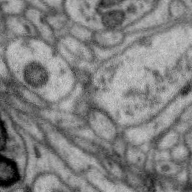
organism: Zebra finch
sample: Brain